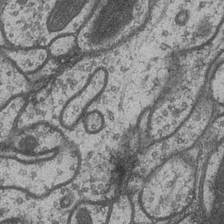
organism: Drosophila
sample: Optic medulla